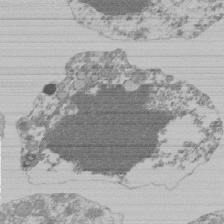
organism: Mouse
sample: Activated Pmel transgenic CD8+ T Cells